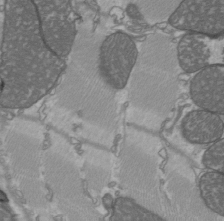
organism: C57BL Mouse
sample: Heart